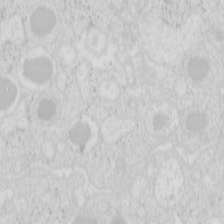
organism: Mouse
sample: Pancreas